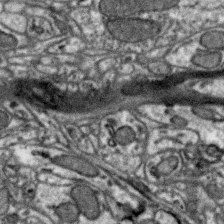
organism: Zebra finch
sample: Brain